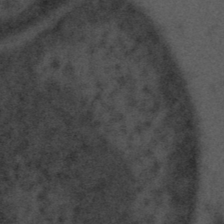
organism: Tuwongella immobilis